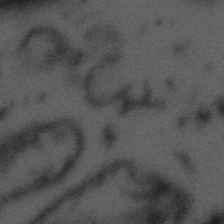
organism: Tuwongella immobilis